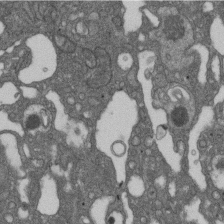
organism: Drosophila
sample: Nephrocyte